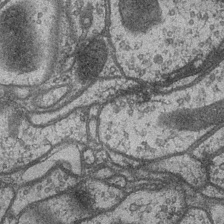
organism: Drosophila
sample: Optic medulla